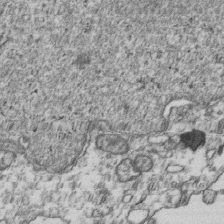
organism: Human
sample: Activated Jurkat CD4+ T cells